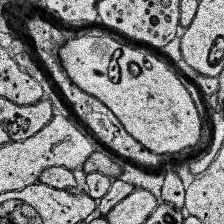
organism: Human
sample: Temporal Lobe